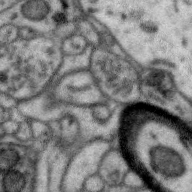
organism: Zebra finch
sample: Brain